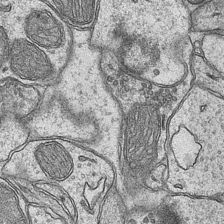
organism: Mouse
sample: CA1 Hippocampus